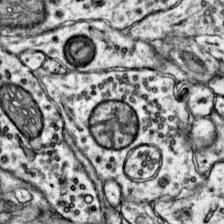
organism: Mouse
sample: Primary visual cortex